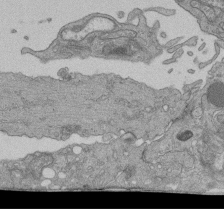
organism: Human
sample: Retinal organoid Rod and Cone cells